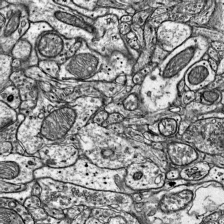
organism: Mouse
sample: Visual Cortex